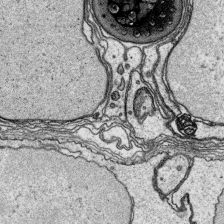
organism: Platynereis dumerilii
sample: Parapodia